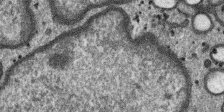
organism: Human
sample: Lung epithelial cells infected with SARS-CoV-2